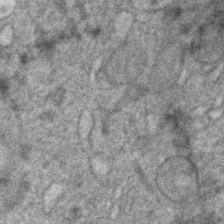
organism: Human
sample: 1205lu cells